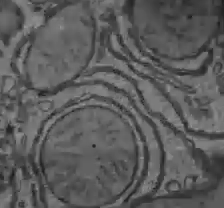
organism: C57BL Mouse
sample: Liver